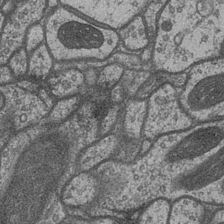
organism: Drosophila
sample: Optic medulla